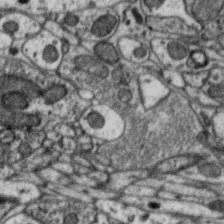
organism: Zebra finch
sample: Brain